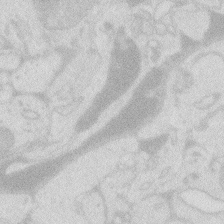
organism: Zebrafish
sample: Macrophage